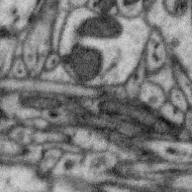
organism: Zebra finch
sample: Brain